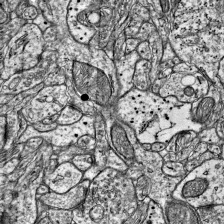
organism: Mouse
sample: Visual Cortex